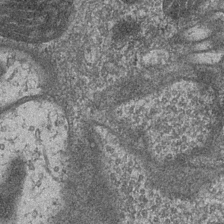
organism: Drosophila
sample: Optic medulla